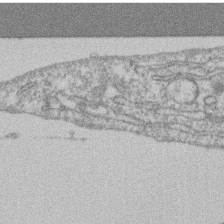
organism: Mouse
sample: T cell stromal cell synapse